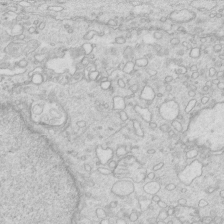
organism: Mouse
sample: Multiciliated cells